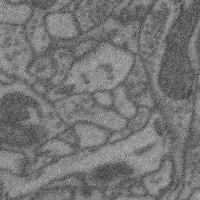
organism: Mouse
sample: Cerebral cortex